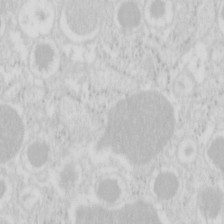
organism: Mouse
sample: Pancreas